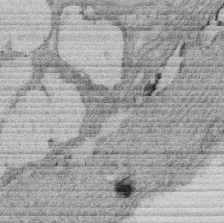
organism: Rat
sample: Salivary granule